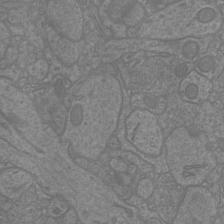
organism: Mouse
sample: Cortical neurons